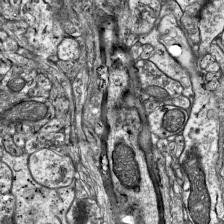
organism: Mouse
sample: Visual Cortex